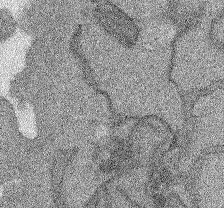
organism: Human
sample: HeLa cells